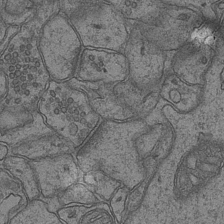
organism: Mouse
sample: CA1 Hippocampus